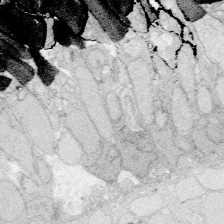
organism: Zebrafish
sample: Whole-Brain